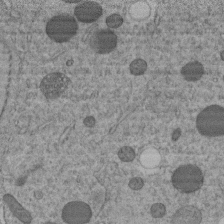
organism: C. elegans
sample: C. elegans embryo early stage